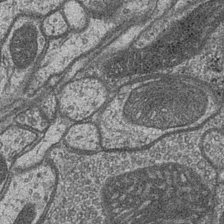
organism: Drosophila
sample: Optic medulla